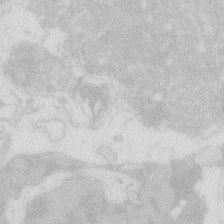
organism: Zebrafish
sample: Macrophage